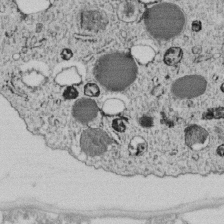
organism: C. elegans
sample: C. elegans embryo early stage